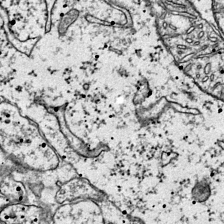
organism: Mouse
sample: Primary visual cortex